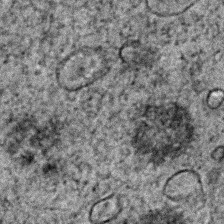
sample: Trachea